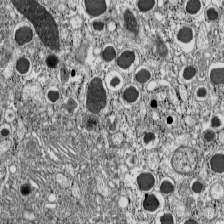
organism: C57BL Mouse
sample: Pancreatic islet